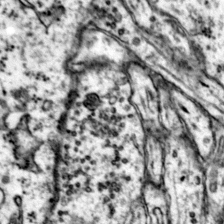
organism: Mouse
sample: Primary visual cortex